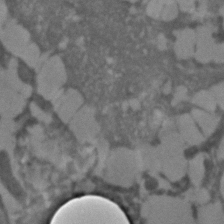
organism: C. elegans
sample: C. elegans embryo